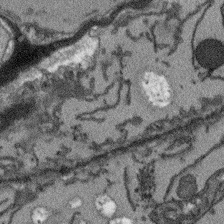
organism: Arabidopsis thaliana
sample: Root tip